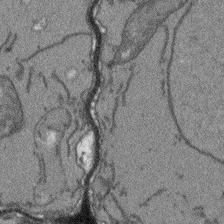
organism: Arabidopsis thaliana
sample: Root tip